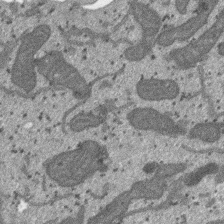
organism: Human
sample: Lung epithelial cells infected with SARS-CoV-2